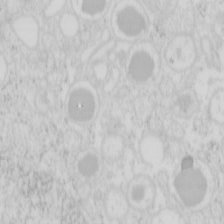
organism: Mouse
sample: Pancreas